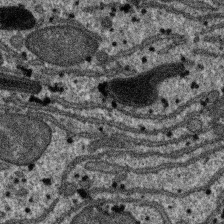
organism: Human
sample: Lung epithelial cells infected with SARS-CoV-2